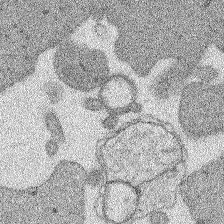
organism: Human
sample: HeLa cells